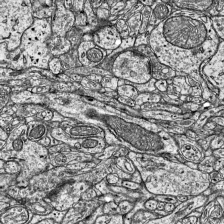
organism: Mouse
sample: Visual Cortex